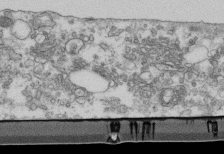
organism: Mouse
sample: Cilia; retinal pigment epithelium